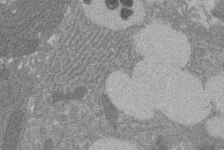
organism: Rat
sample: Salivary granule